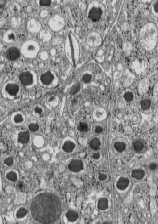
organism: C57BL Mouse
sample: Pancreatic islet